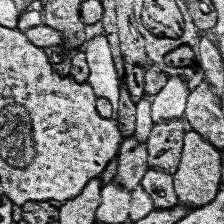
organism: Human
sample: Temporal Lobe